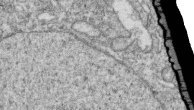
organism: Human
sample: HeLa cell HIV synapse